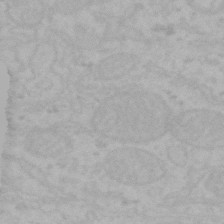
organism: Mouse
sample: Choroid plexus